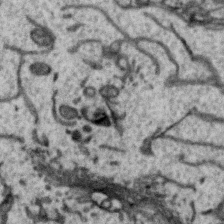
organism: Zebra finch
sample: Brain